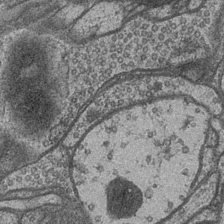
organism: Drosophila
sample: Optic medulla